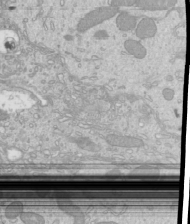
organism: Mouse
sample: Cilia; mouse epididymis